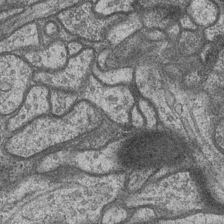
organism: Drosophila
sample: Optic medulla